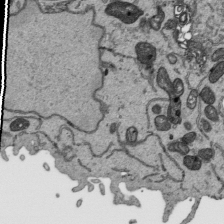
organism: Human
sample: Mitochondria in HCT116 cells